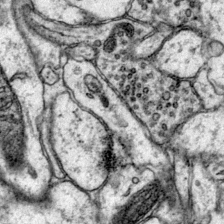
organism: Mouse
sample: Primary visual cortex